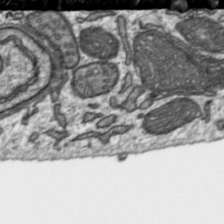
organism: Toxoplasma gondii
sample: Parasites in a vacuole inside a host cell